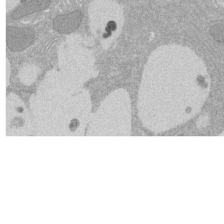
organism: Rat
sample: Salivary granule